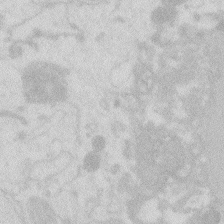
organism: Zebrafish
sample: Macrophage